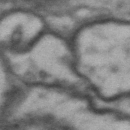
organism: Drosophila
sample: Brain